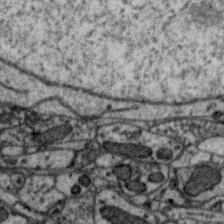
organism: Zebra finch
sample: Brain